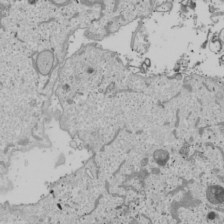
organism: Human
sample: Mitochondria in U2OS cells